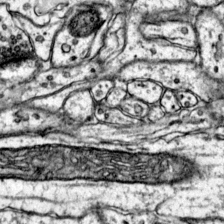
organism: Mouse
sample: Primary visual cortex